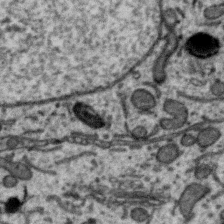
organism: Zebra finch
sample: Brain